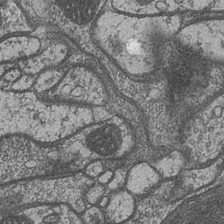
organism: Drosophila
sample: Optic medulla